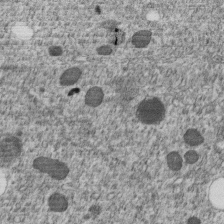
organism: C. elegans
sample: C. elegans embryo early stage